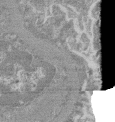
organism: Mouse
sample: Glomerulus